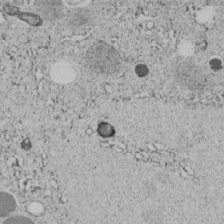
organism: C. elegans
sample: C. elegans embryo early stage